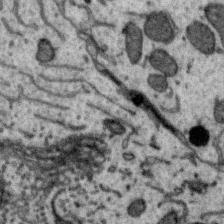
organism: Zebra finch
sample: Brain